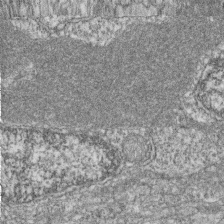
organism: Zebrafish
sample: Cilia; retinal pigment epithelium